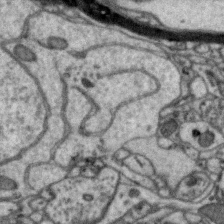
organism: Zebra finch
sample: Brain